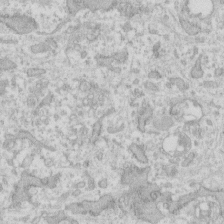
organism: Human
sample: Fibroblast cells